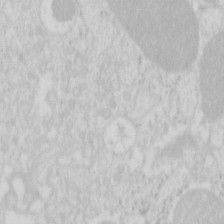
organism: Mouse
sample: Pancreas